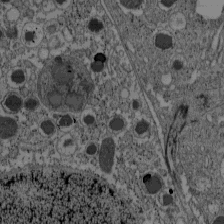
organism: C57BL Mouse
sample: Pancreatic islet